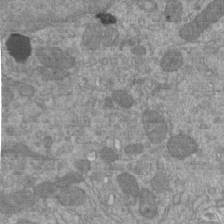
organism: Mouse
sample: ED-1 cell nuclei; centrioles